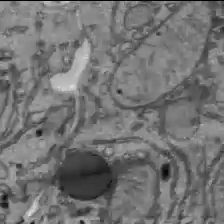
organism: C57BL Mouse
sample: Liver